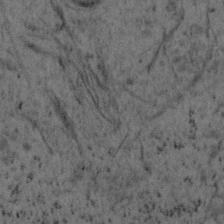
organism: Human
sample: HeLa cells